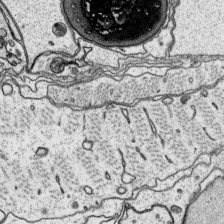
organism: Platynereis dumerilii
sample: Parapodia